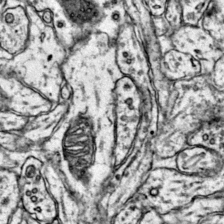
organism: Mouse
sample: Primary visual cortex